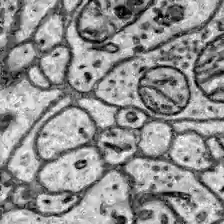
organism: Zebrafish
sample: Brain